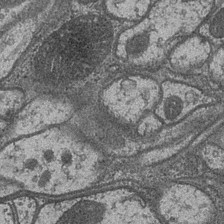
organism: Drosophila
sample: Optic medulla